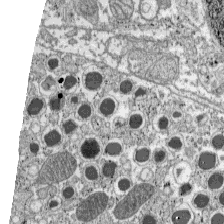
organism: C57BL Mouse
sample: Pancreatic islet